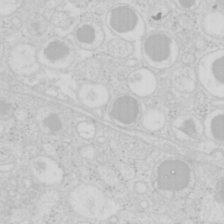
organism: Mouse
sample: Pancreas